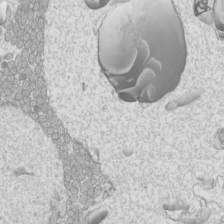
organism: Mouse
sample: Cilia; mouse epididymis